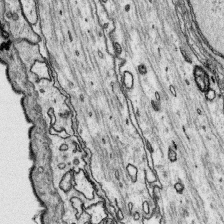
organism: Platynereis dumerilii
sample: Parapodia